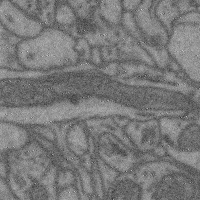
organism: Mouse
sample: Cerebral cortex